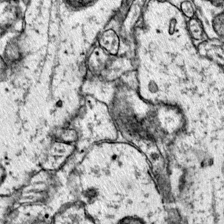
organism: Mouse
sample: Primary visual cortex